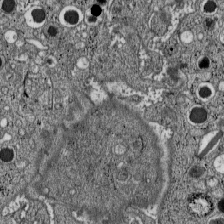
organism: C57BL Mouse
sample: Pancreatic islet